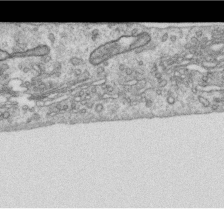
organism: Human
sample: Centriole in RPE cells